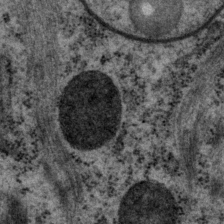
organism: P. pacificus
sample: Pharynx